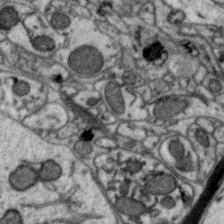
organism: Zebra finch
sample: Brain